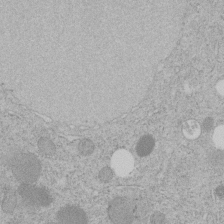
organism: C. elegans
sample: C. elegans embryo early stage